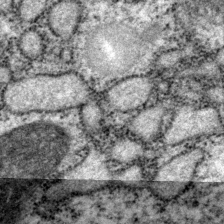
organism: P. pacificus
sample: Pharynx